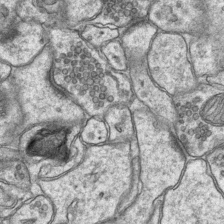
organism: Mouse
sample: CA1 Hippocampus